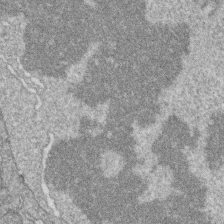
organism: Zebrafish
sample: Cilia; retinal pigment epithelium